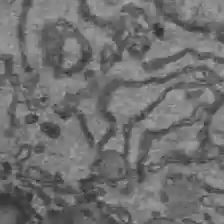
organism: C57BL Mouse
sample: Liver